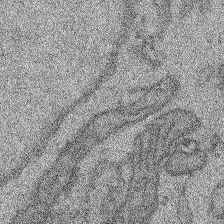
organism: Human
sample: HeLa cells